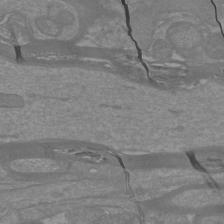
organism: Mouse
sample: Cortical neurons